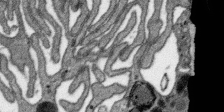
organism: Human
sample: Lung epithelial cells, uninfected (mock) control